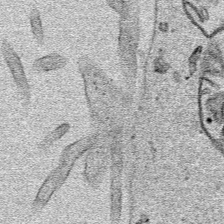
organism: Human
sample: Mitochondria in HCT116 cells